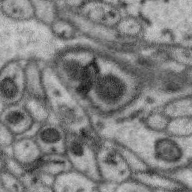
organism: Zebra finch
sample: Brain